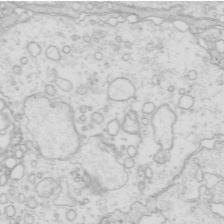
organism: Mouse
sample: Multiciliated cells